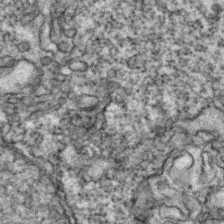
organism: Zebrafish